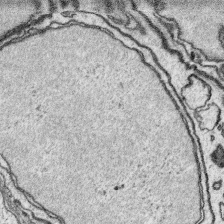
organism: Platynereis dumerilii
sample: Parapodia